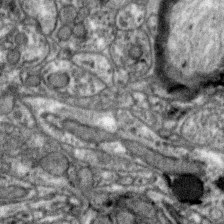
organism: Zebra finch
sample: Brain